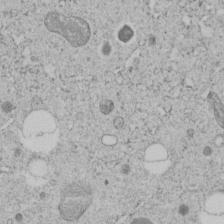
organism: C. elegans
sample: C. elegans embryo early stage